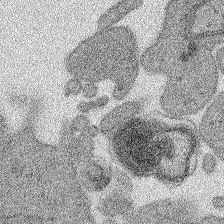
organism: Human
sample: HeLa cells